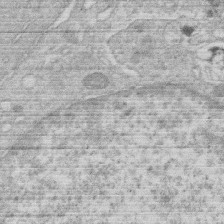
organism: Human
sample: Macrophage cells